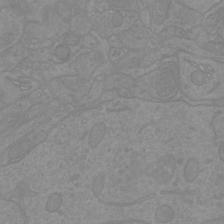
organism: Mouse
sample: Cortical neurons